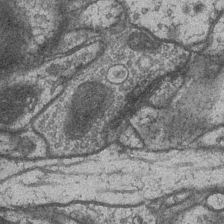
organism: Drosophila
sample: Optic medulla